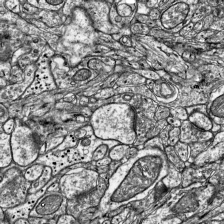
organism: Mouse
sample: Visual Cortex